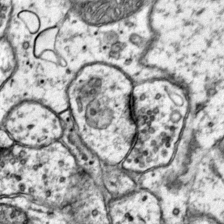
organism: Mouse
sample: Primary visual cortex